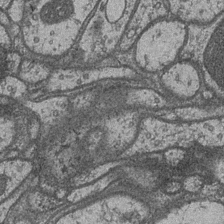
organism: Drosophila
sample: Optic medulla